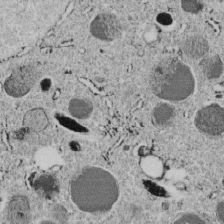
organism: C. elegans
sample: C. elegans embryo early stage